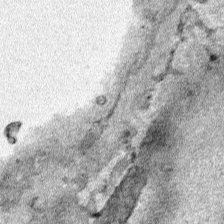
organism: Human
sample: Mitochondria in HCT116 cells